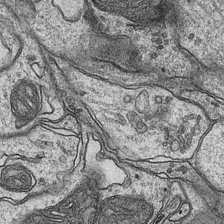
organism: Mouse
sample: CA1 Hippocampus